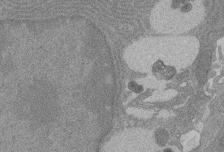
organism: Rat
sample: Salivary granule